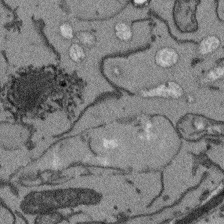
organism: Arabidopsis thaliana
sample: Root tip